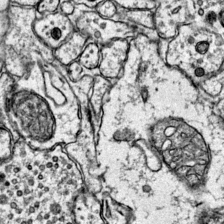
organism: Mouse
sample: Primary visual cortex